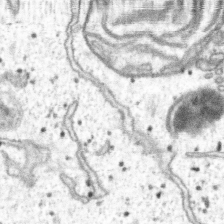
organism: Human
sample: HeLa cells